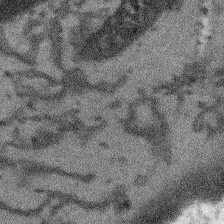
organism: Arabidopsis thaliana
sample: Root tip